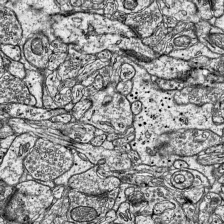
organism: Mouse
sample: Visual Cortex